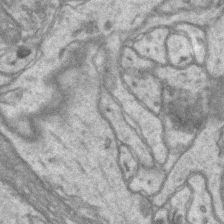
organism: Mouse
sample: CA1 Hippocampus